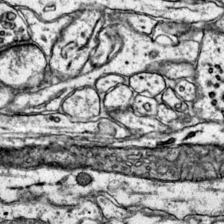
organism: Mouse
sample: Primary visual cortex